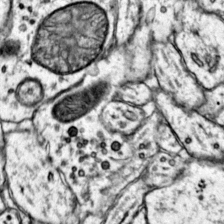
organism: Mouse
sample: Primary visual cortex